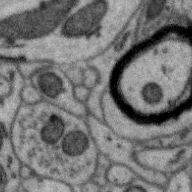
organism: Zebra finch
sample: Brain